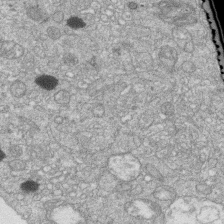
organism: Human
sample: HeLa cell HIV synapse